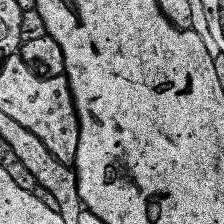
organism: Human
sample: Temporal Lobe